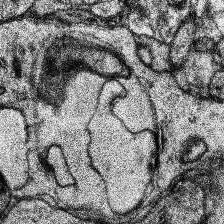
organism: Human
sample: Temporal Lobe